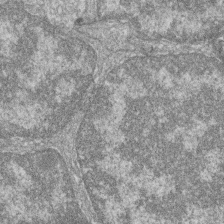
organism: Zebrafish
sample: Cilia; retinal pigment epithelium